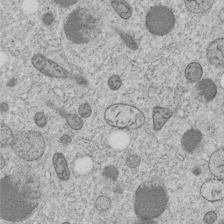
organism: C. elegans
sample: C. elegans embryo early stage